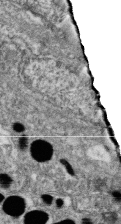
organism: Zebrafish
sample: Cilia; retinal pigment epithelium